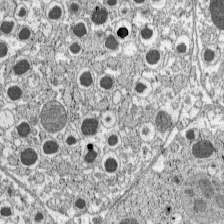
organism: C57BL Mouse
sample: Pancreatic islet